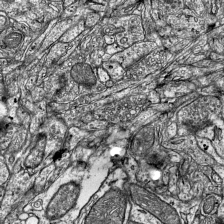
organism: Mouse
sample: Visual Cortex